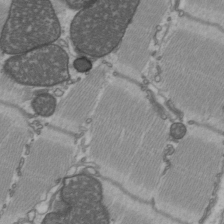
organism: C57BL Mouse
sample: Heart